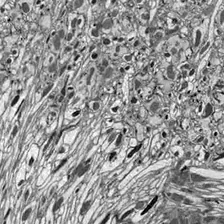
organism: Drosophila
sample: Optic lobe